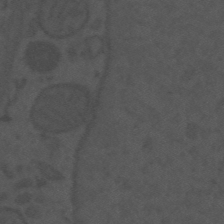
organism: Mouse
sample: Suprachiasmatic nucleus